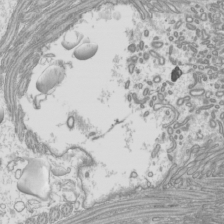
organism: Mouse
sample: Cilia; mouse epididymis